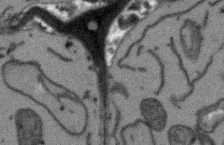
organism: Arabidopsis thaliana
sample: Root tip